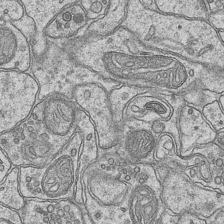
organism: Mouse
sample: CA1 Hippocampus